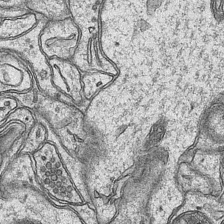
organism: Mouse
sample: CA1 Hippocampus